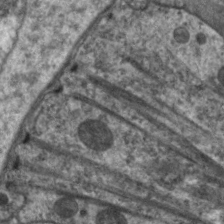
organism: C. elegans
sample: Pharynx